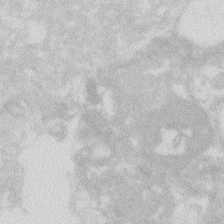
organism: Zebrafish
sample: Macrophage